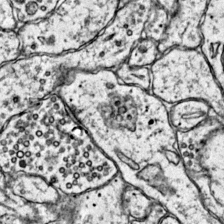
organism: Mouse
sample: Primary visual cortex